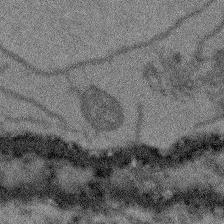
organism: Arabidopsis thaliana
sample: Root tip